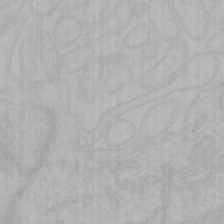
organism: Mouse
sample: Choroid plexus